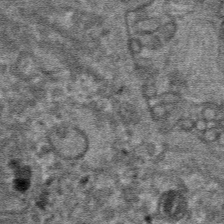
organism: Mouse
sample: Mouse hepatocytes